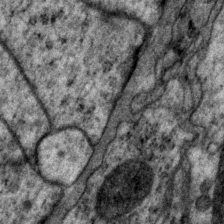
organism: P. pacificus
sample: Pharynx